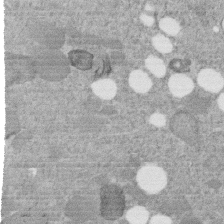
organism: C. elegans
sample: C. elegans embryo early stage